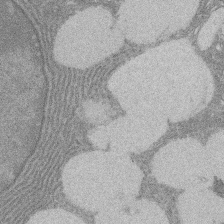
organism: Rat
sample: Salivary granule